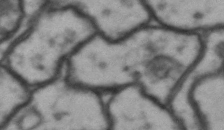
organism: Drosophila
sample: Brain